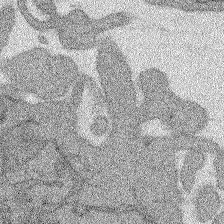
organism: Human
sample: HeLa cells